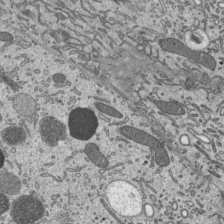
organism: Mouse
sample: Mouse epididymis efferent ductule cilia